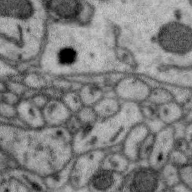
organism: Zebra finch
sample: Brain